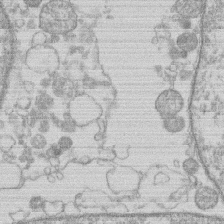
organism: Human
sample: Macrophage cells